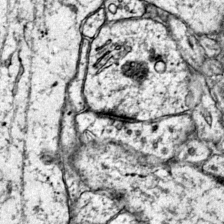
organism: Mouse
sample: Primary visual cortex